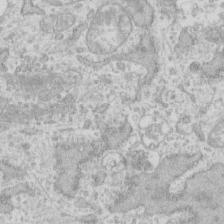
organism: Human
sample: Fibroblast cells